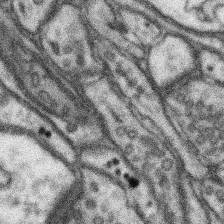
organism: Mouse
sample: Somatosensory cortex neuropil